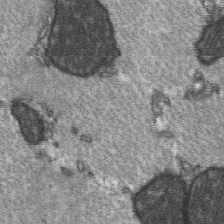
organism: C57BL Mouse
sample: Soleus